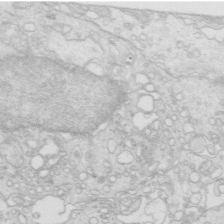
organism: Mouse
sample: Multiciliated cells